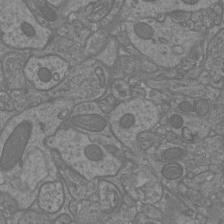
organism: Mouse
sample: Cortical neurons